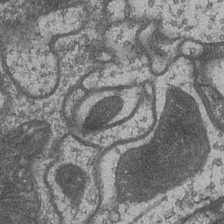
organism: Drosophila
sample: Optic medulla